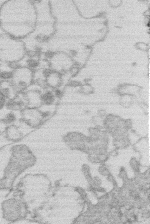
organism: Human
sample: Macrophage cells